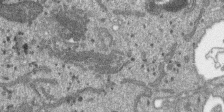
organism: Human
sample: Lung epithelial cells infected with SARS-CoV-2